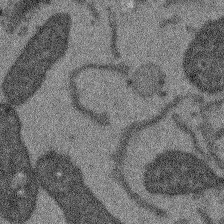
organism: Arabidopsis thaliana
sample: Root tip